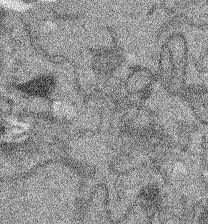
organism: Human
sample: HeLa cells